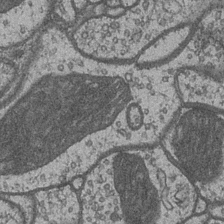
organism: Drosophila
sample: Optic medulla